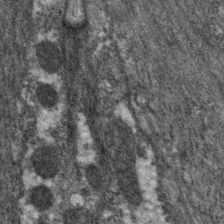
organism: C. elegans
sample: Pharynx